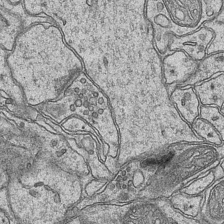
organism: Mouse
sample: CA1 Hippocampus